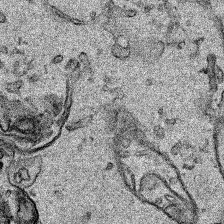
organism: Human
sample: Mitochondria in HCT116 cells